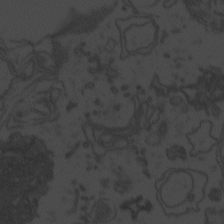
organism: Zebrafish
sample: Macrophage infected with Toxoplasma gondii